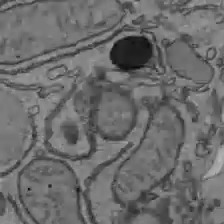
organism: C57BL Mouse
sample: Liver